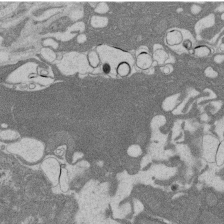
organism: Rat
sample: Salivary granule